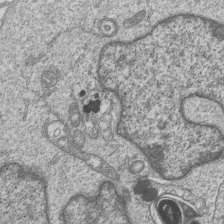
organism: Human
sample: MDA-MB-231 cells